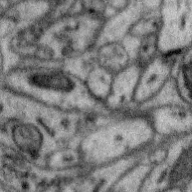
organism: Zebra finch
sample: Brain